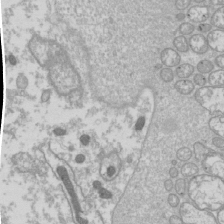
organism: Drosophila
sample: Cell division; meiosis; drosophila spermatocytes